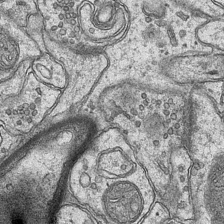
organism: Mouse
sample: CA1 Hippocampus